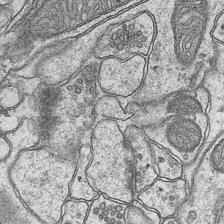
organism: Mouse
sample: CA1 Hippocampus